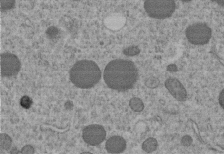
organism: C. elegans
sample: C. elegans embryo early stage